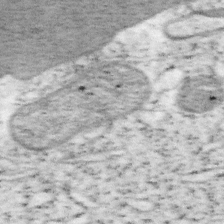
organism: Mouse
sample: OT-I killer T cells with ID8 ovarian cancer cells